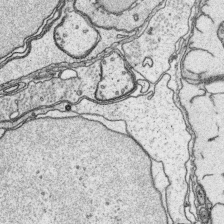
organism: Platynereis dumerilii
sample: Parapodia